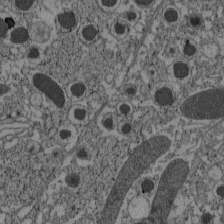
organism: C57BL Mouse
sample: Pancreatic islet